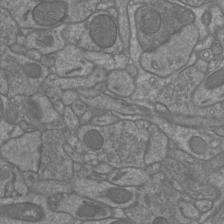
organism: Mouse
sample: Cortical neurons